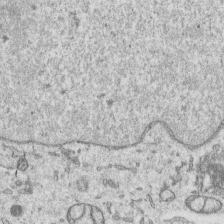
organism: Human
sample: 1205lu cells